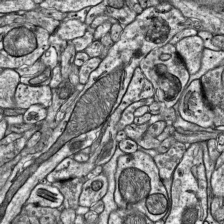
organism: Mouse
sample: Visual Cortex